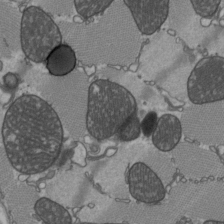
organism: C57BL Mouse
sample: Heart